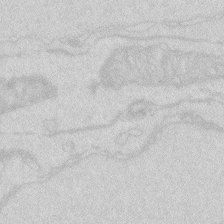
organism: Zebrafish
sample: Macrophage